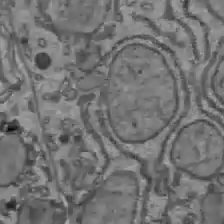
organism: C57BL Mouse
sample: Liver